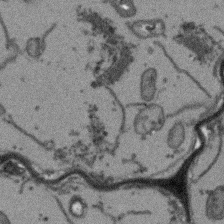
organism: Arabidopsis thaliana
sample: Root tip